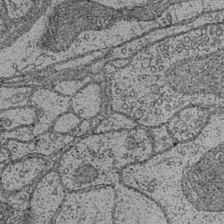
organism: Drosophila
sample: Optic medulla